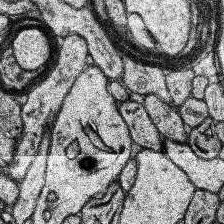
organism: Human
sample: Temporal Lobe